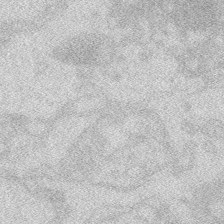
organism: Zebrafish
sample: Macrophage